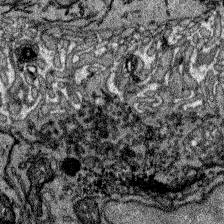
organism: Zebrafish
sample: Larval olfactory bulb